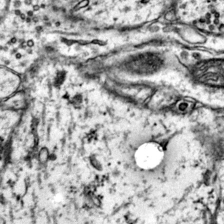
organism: Mouse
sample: Primary visual cortex